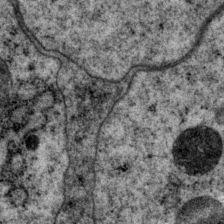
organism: P. pacificus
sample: Pharynx